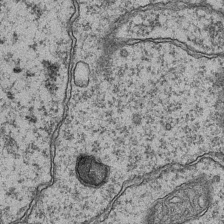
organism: Mouse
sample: CA1 Hippocampus